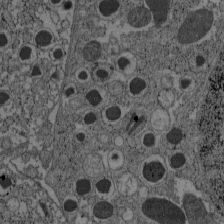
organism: C57BL Mouse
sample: Pancreatic islet